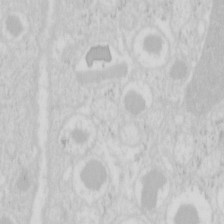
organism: Mouse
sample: Pancreas